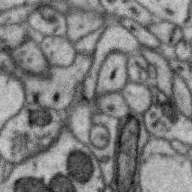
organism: Zebra finch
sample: Brain